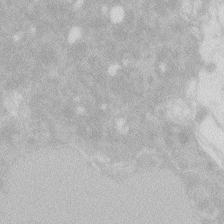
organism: Zebrafish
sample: Macrophage